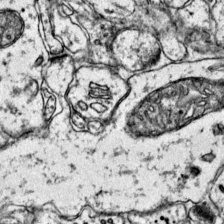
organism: Mouse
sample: Primary visual cortex